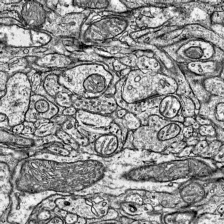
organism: Mouse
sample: Visual Cortex